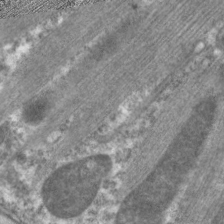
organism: C. elegans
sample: Pharynx